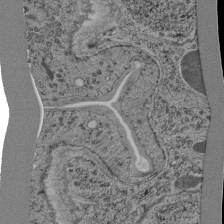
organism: C. elegans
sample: C. elegans pharynx